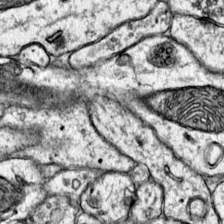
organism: Mouse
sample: Primary visual cortex